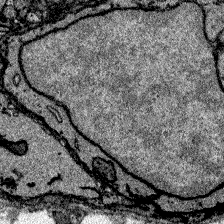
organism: Zebrafish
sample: Larval olfactory bulb